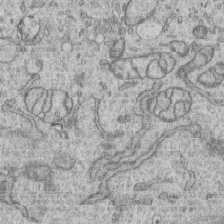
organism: Human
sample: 1205lu cells